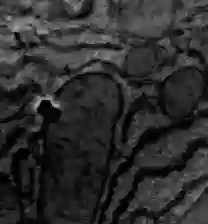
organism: C57BL Mouse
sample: Liver